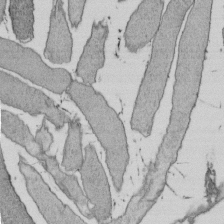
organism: E. coli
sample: Bacterial nucleoid